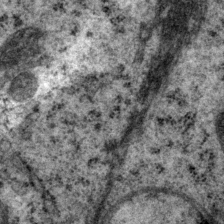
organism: P. pacificus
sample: Pharynx